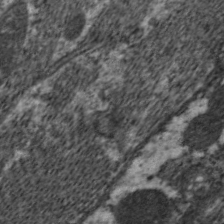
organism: C. elegans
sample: Pharynx